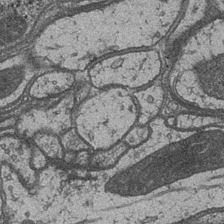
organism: Drosophila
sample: Optic medulla